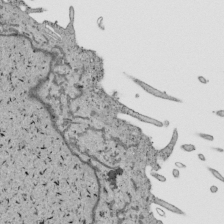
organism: Human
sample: Mitochondria in HCT116 cells